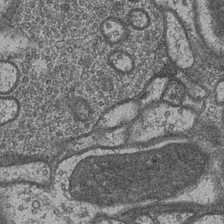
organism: Drosophila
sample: Optic medulla